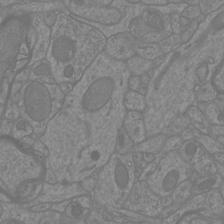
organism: Mouse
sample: Cortical neurons